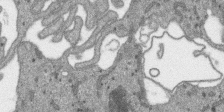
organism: Human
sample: Lung epithelial cells infected with SARS-CoV-2